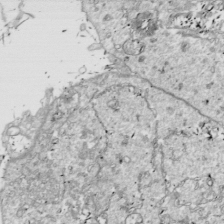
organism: Drosophila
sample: Cell division; meiosis; drosophila spermatocytes